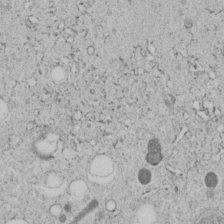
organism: C. elegans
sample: C. elegans embryo early stage